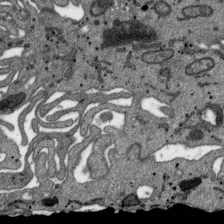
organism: Human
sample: Lung epithelial cells, uninfected (mock) control